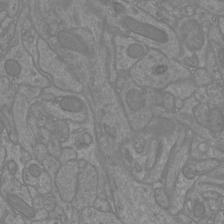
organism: Mouse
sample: Cortical neurons